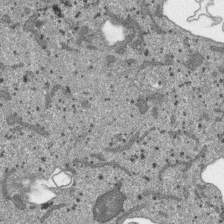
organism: Human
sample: Lung epithelial cells infected with SARS-CoV-2